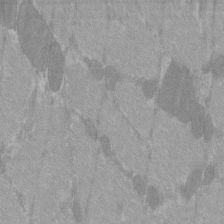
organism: C57BL Mouse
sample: Tibialis anterior muscle cell